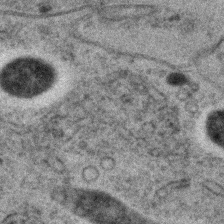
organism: C. elegans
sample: C. elegans embryo